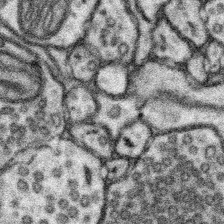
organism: Mouse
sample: Somatosensory cortex neuropil